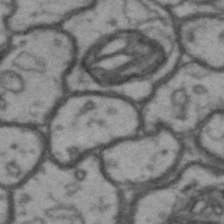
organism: Drosophila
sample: Brain